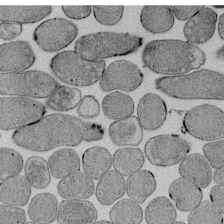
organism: E. coli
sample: Bacterial nucleoid